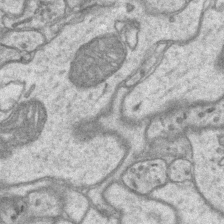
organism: Mouse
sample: CA1 Hippocampus